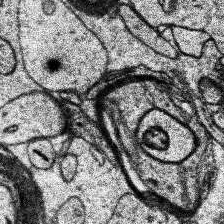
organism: Human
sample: Temporal Lobe